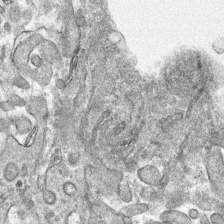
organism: Mouse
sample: Mouse hepatocytes